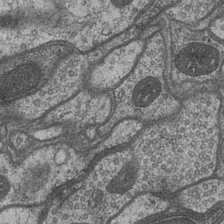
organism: Drosophila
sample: Optic medulla